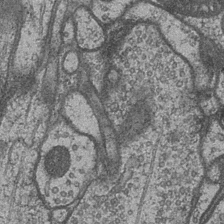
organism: Drosophila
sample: Optic medulla